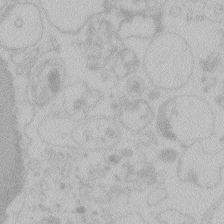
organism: Zebrafish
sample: Macrophage infected with Toxoplasma gondii